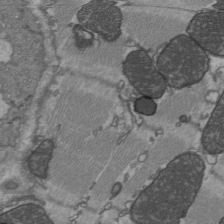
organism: C57BL Mouse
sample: Heart